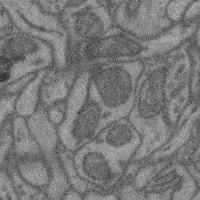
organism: Mouse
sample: Cerebral cortex